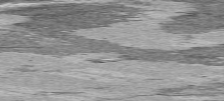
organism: C57BL Mouse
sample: Heart